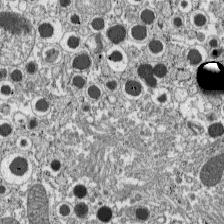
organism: C57BL Mouse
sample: Pancreatic islet